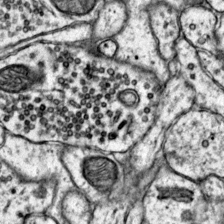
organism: Mouse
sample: Primary visual cortex